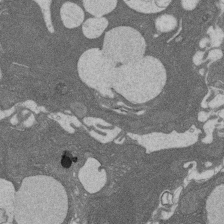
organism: Rat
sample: Salivary granule